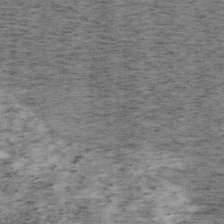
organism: Mouse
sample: OT-I killer T cells with ID8 ovarian cancer cells